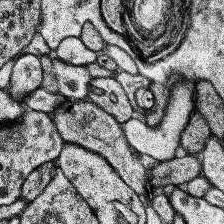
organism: Human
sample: Temporal Lobe